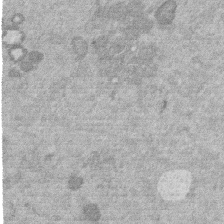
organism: Mouse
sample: Dividing mouse embryo 1 cell stage